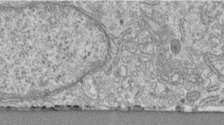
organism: Human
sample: Centriole in fibroblast cells